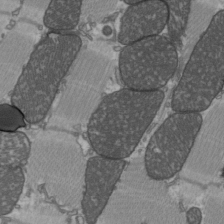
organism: C57BL Mouse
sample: Heart